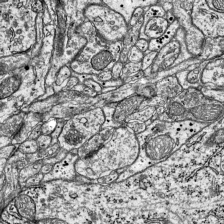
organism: Mouse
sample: Visual Cortex